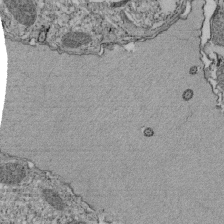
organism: Tetrahymena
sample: Cilia in tetrahymena